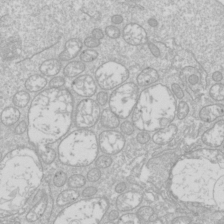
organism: Drosophila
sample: Cell division; meiosis; drosophila spermatocytes